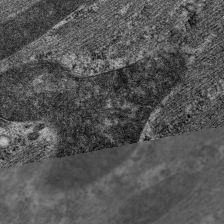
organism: C. elegans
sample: Pharynx